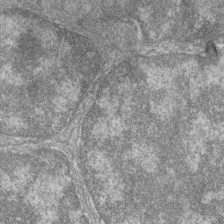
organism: Zebrafish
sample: Cilia; retinal pigment epithelium